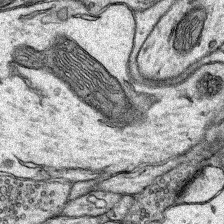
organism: Rat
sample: Hippocampus